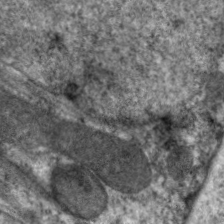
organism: C. elegans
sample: Pharynx